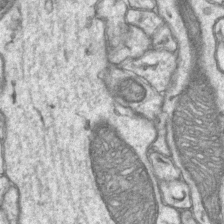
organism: Mouse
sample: CA1 Hippocampus